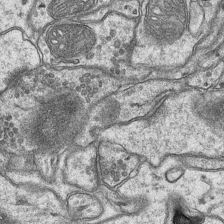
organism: Mouse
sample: CA1 Hippocampus